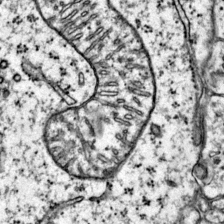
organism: Mouse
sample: Primary visual cortex